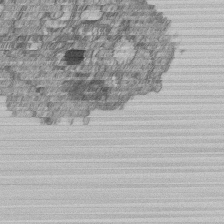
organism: Human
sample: MDA-MB-231 cells